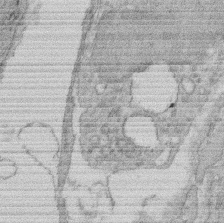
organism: Rat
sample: Salivary granule